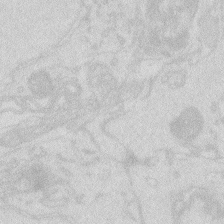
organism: Zebrafish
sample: Macrophage